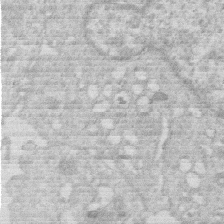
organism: Human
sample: Macrophage cells